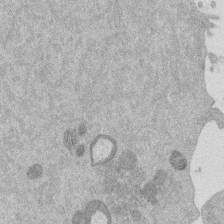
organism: Mouse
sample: Dividing mouse embryo 1 cell stage